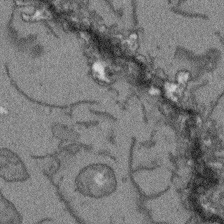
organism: Arabidopsis thaliana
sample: Root tip